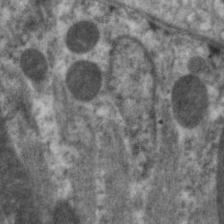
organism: C. elegans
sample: Pharynx